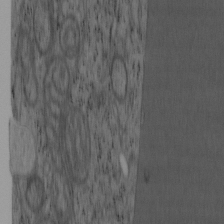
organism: Human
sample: HeLa cells